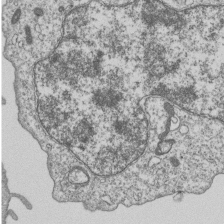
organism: Human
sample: MDA-MB-231 cells